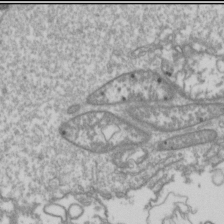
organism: Drosophila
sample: Cell division; meiosis; drosophila spermatocytes